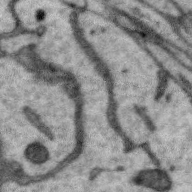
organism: Zebra finch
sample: Brain